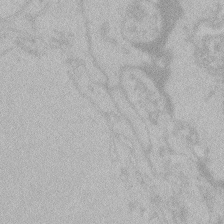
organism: Zebrafish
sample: Macrophage infected with Toxoplasma gondii